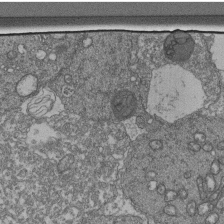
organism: Human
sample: Retinal organoid Rod and Cone cells